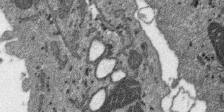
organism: Human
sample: Lung epithelial cells infected with SARS-CoV-2